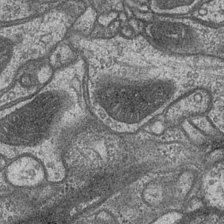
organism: Drosophila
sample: Optic medulla